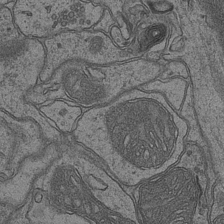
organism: Mouse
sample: CA1 Hippocampus